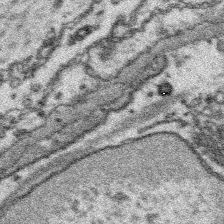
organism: Platynereis dumerilii